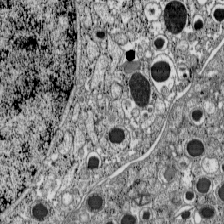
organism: C57BL Mouse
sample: Pancreatic islet